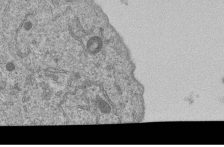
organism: Human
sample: MDA-MB-231 cells